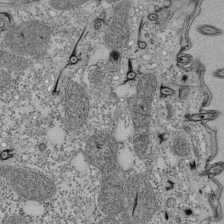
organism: Tetrahymena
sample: Cilia in tetrahymena